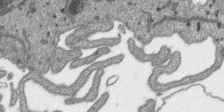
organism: Human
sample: Lung epithelial cells infected with SARS-CoV-2